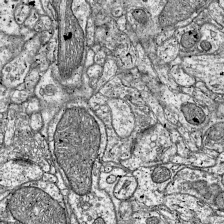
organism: Mouse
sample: Visual Cortex